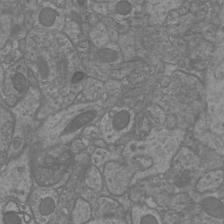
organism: Mouse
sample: Cortical neurons